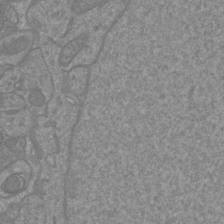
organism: Mouse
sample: Cortical neurons